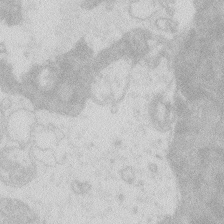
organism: Zebrafish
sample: Macrophage